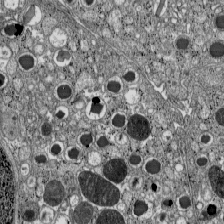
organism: C57BL Mouse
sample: Pancreatic islet